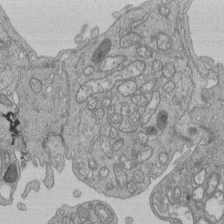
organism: Human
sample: Retinal organoid Rod and Cone cells